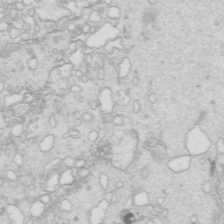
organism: Mouse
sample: Multiciliated cells